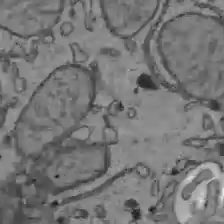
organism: C57BL Mouse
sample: Liver